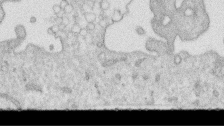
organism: Human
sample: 1205lu cells